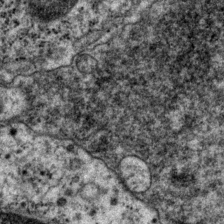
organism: P. pacificus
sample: Pharynx